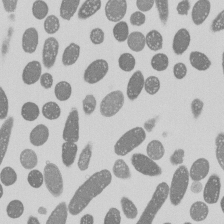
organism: E. coli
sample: Bacterial nucleoid